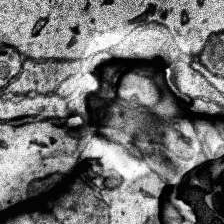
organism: Human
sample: Temporal Lobe